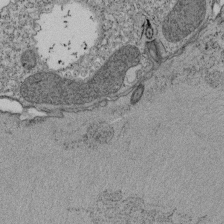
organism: Tetrahymena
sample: Cilia in tetrahymena